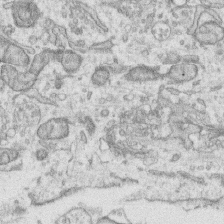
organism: Human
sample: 1205lu cells